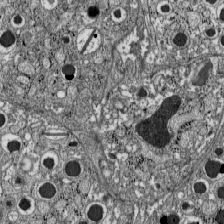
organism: C57BL Mouse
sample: Pancreatic islet